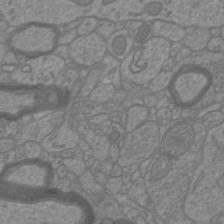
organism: Mouse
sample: Cortical neurons